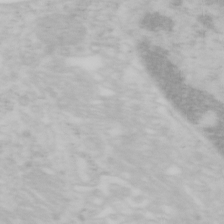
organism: Mouse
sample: OT-I killer T cells with ID8 ovarian cancer cells